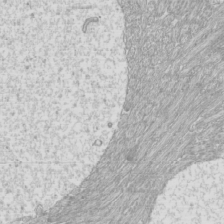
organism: Mouse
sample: Cilia; mouse epididymis